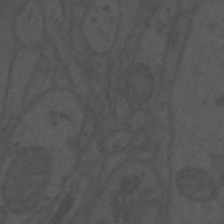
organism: Mouse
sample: Suprachiasmatic nucleus